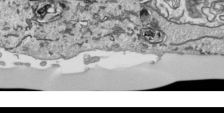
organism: Human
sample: Mitochondria in HCT116 cells